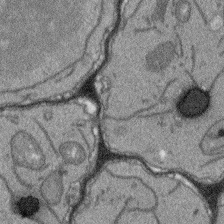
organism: Arabidopsis thaliana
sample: Root tip